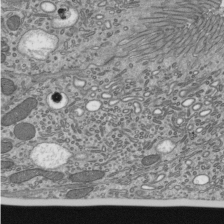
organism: Mouse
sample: Mouse epididymis efferent ductule cilia